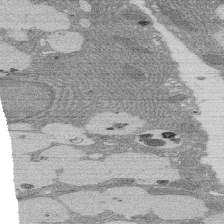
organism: Rat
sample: Salivary granule